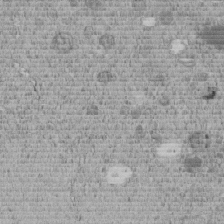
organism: C. elegans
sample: C. elegans embryo early stage